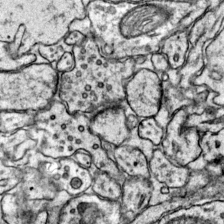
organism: Mouse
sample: Primary visual cortex